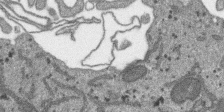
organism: Human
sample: Lung epithelial cells infected with SARS-CoV-2